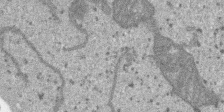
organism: Human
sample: Lung epithelial cells infected with SARS-CoV-2